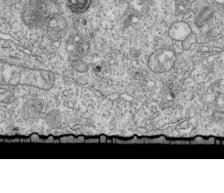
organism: Human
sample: HeLa cell HIV synapse